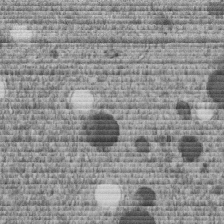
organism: C. elegans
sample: C. elegans embryo early stage